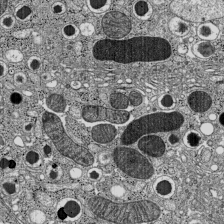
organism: C57BL Mouse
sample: Pancreatic islet